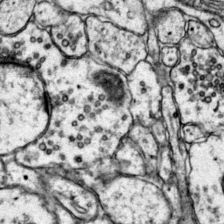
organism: Mouse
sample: Primary visual cortex